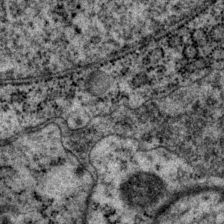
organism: P. pacificus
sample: Pharynx